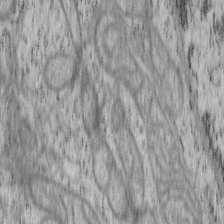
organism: Human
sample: HeLa cells